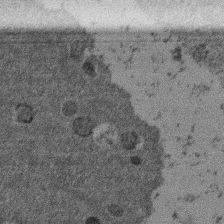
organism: Mouse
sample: Dividing mouse embryo 1 cell stage